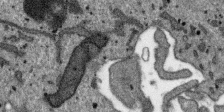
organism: Human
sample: Lung epithelial cells, uninfected (mock) control